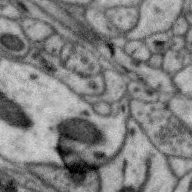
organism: Zebra finch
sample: Brain